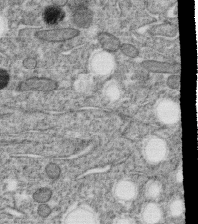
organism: C. elegans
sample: C. elegans oocyte; sperm cells